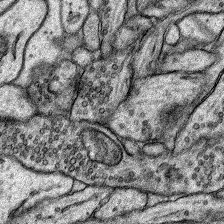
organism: Rat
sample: Hippocampus